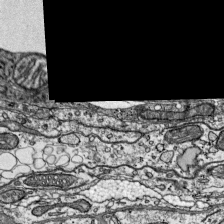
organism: Mouse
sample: Visual Cortex